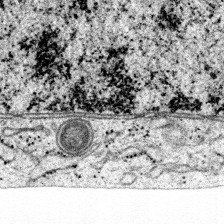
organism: Human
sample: HeLa cells